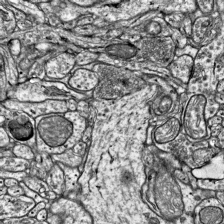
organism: Mouse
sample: Visual Cortex